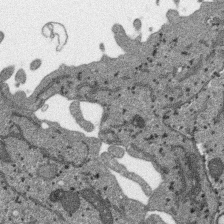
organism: Human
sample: Lung epithelial cells infected with SARS-CoV-2